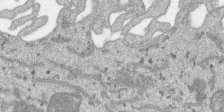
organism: Human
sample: Lung epithelial cells infected with SARS-CoV-2